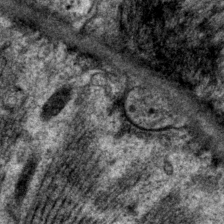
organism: P. pacificus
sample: Pharynx